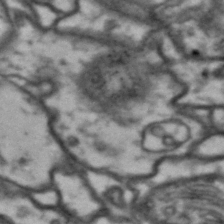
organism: Drosophila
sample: Brain